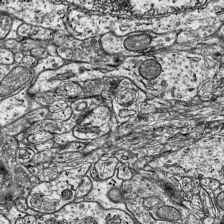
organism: Mouse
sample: Visual Cortex